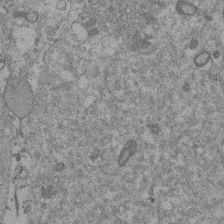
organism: Mouse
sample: Dividing mouse embryo 1 cell stage